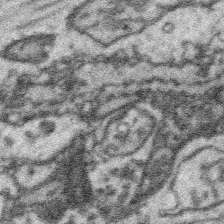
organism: Platynereis dumerilii